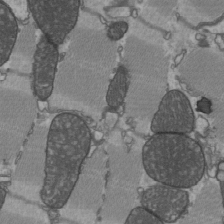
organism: C57BL Mouse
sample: Heart